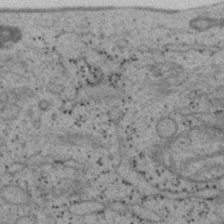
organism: Human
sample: HeLa cells